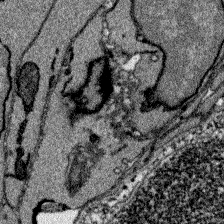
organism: Zebrafish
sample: Larval olfactory bulb